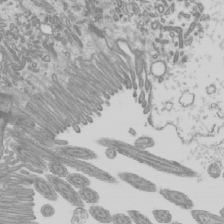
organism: Mouse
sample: Cilia; mouse epididymis